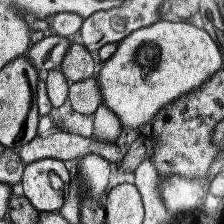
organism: Human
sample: Temporal Lobe